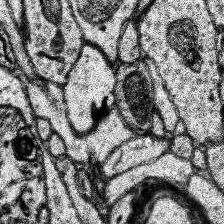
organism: Human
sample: Temporal Lobe